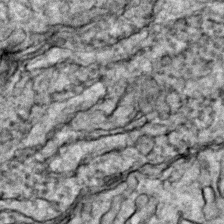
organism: Zebrafish